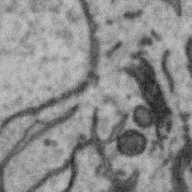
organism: Zebra finch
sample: Brain